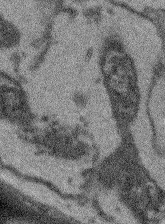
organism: Arabidopsis thaliana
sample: Root tip